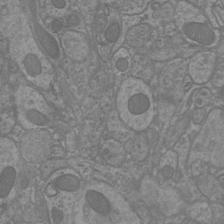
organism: Mouse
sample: Cortical neurons